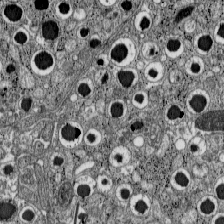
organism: C57BL Mouse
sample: Pancreatic islet